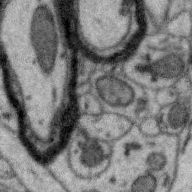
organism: Zebra finch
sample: Brain